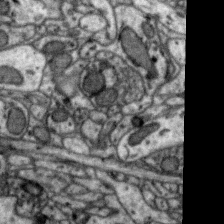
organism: Zebra finch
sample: Brain